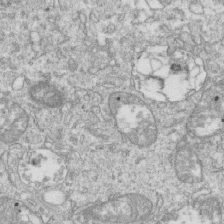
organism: Mouse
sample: Activated OT-1 CD8+ T cells